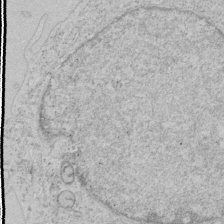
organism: Human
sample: Mitochondria in HCT116 cells